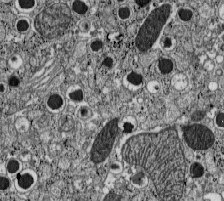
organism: C57BL Mouse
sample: Pancreatic islet